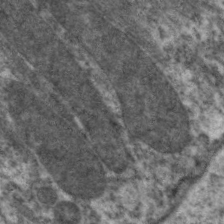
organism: C. elegans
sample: Pharynx